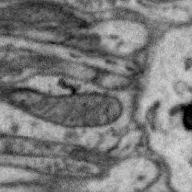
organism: Zebra finch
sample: Brain